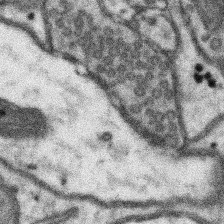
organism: Mouse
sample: Somatosensory cortex neuropil